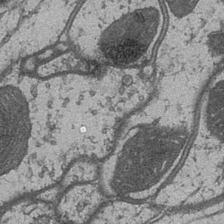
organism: Drosophila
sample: Optic medulla